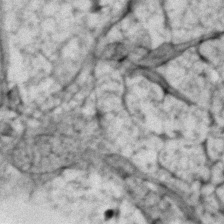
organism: Zebrafish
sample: Zebrafish embryo